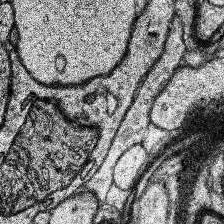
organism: Human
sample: Temporal Lobe